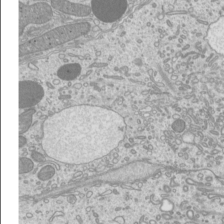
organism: Mouse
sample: Cilia; mouse epididymis